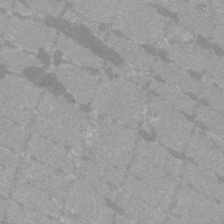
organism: C57BL Mouse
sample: Tibialis anterior muscle cell